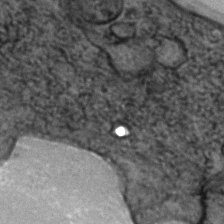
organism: Zebrafish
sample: Zebrafish embryo